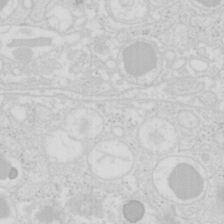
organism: Mouse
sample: Pancreas